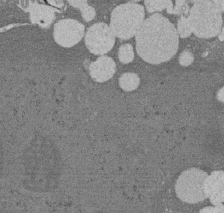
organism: Rat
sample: Salivary granule